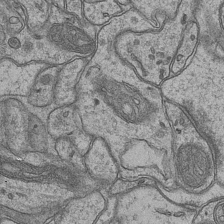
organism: Mouse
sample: CA1 Hippocampus